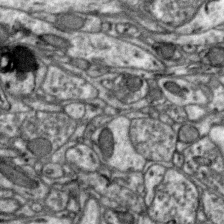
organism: Zebra finch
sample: Brain